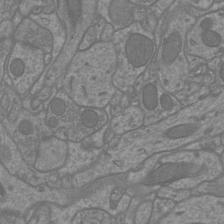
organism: Mouse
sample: Cortical neurons